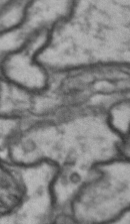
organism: Drosophila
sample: Brain